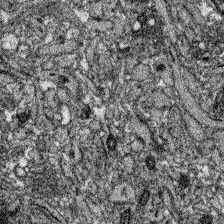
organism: Zebrafish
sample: Larval olfactory bulb